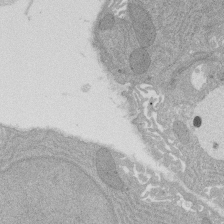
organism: Rat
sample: Salivary granule